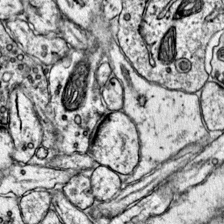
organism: Mouse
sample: Primary visual cortex